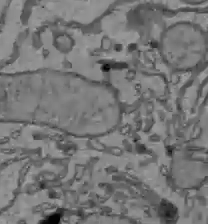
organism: C57BL Mouse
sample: Liver